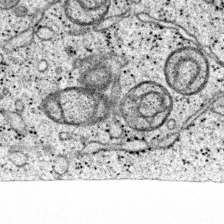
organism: Human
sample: HeLa cells